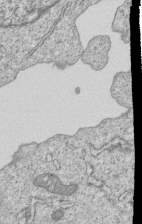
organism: Human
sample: MDA-MB-231 cells